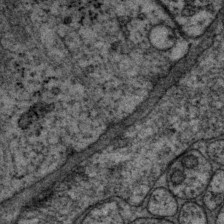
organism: P. pacificus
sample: Pharynx